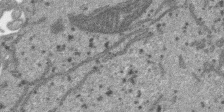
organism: Human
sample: Lung epithelial cells infected with SARS-CoV-2